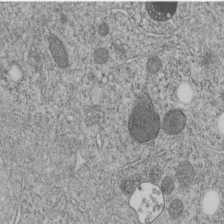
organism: C. elegans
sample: C. elegans embryo early stage